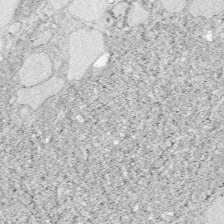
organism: Zebrafish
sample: Whole-Brain